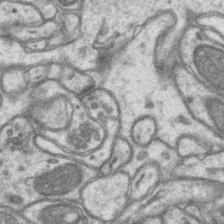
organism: Mouse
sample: CA1 Hippocampus